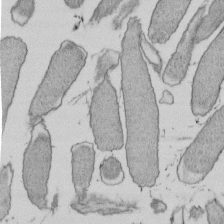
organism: E. coli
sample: Bacterial nucleoid